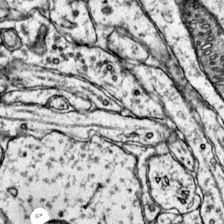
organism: Mouse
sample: Primary visual cortex